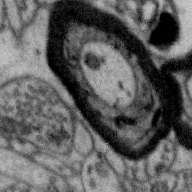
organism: Zebra finch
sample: Brain